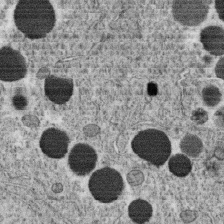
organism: C. elegans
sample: C. elegans oocyte; sperm cells